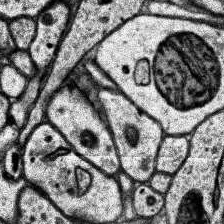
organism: Human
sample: Temporal Lobe